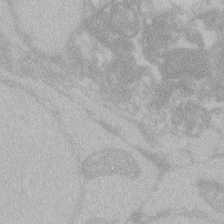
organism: Zebrafish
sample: Macrophage infected with Toxoplasma gondii